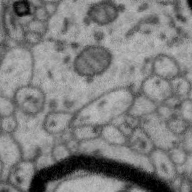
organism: Zebra finch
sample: Brain